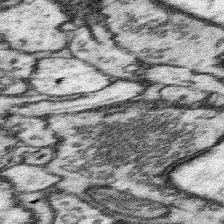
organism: Mouse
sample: Somatosensory cortex neuropil